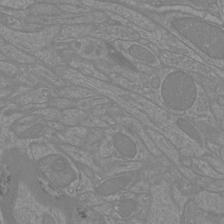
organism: Mouse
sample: Cortical neurons